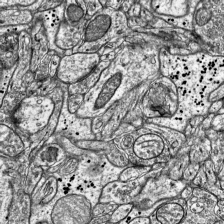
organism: Mouse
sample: Visual Cortex